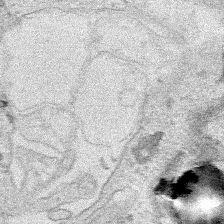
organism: Human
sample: Mitochondria in HCT116 cells